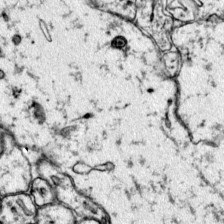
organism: Mouse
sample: Primary visual cortex